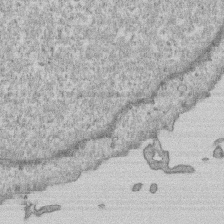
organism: Human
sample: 1205lu cells